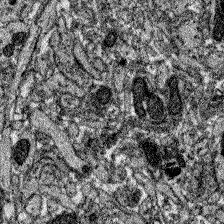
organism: Zebrafish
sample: Larval olfactory bulb